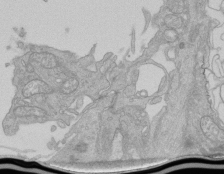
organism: Human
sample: Retinal organoid Rod and Cone cells